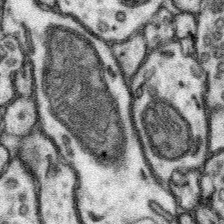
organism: Mouse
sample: Somatosensory cortex neuropil